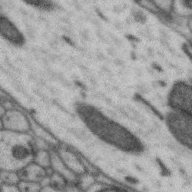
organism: Zebra finch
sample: Brain